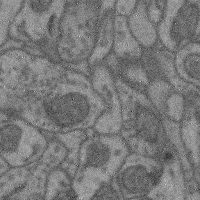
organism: Mouse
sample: Cerebral cortex